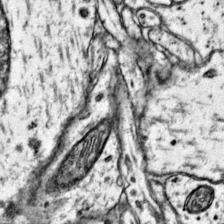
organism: Mouse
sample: Primary visual cortex